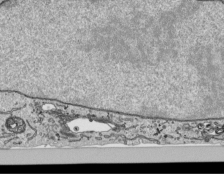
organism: Human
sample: Mitochondria in HCT116 cells